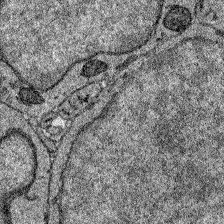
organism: Zebrafish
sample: Larval olfactory bulb